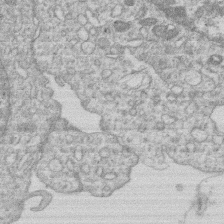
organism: Human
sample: Macrophage cells